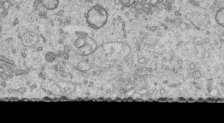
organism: Human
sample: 1205lu cells